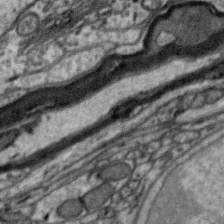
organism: Zebra finch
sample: Brain